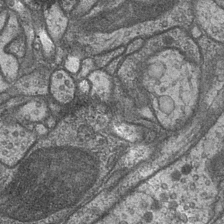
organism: Drosophila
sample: Optic medulla